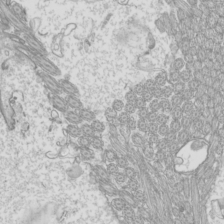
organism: Mouse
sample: Cilia; mouse epididymis